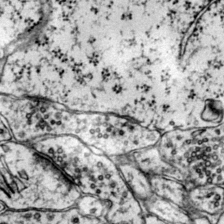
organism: Mouse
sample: Primary visual cortex